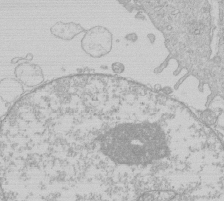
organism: Human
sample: Macrophage cells